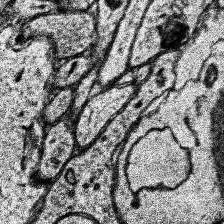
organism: Human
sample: Temporal Lobe